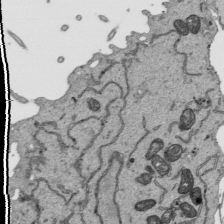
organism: Human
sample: Mitochondria in HCT116 cells